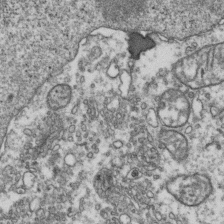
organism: Human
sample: Activated Jurkat CD4+ T cells